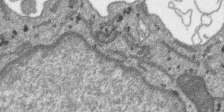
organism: Human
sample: Lung epithelial cells infected with SARS-CoV-2